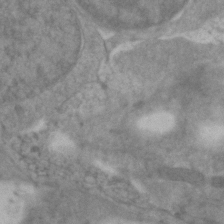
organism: Zebrafish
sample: Zebrafish embryo